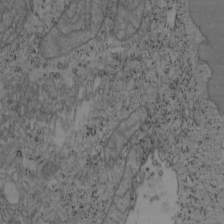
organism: Mouse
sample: OT-I killer T cells with ID8 ovarian cancer cells